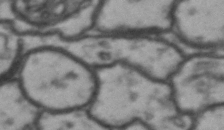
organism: Drosophila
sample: Brain